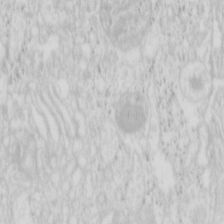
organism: Mouse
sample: Pancreas